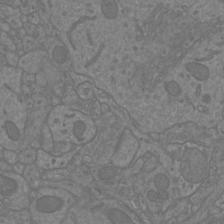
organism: Mouse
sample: Cortical neurons